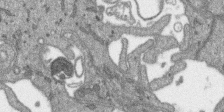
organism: Human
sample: Lung epithelial cells infected with SARS-CoV-2